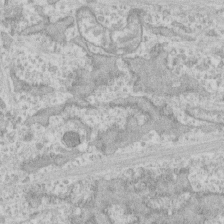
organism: Human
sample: CRL-1474